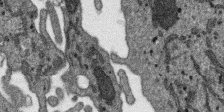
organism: Human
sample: Lung epithelial cells infected with SARS-CoV-2